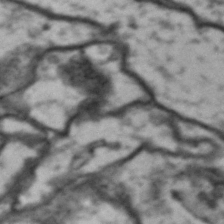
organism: Drosophila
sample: Brain